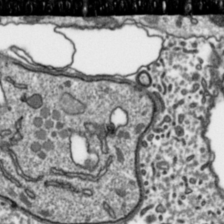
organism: Toxoplasma gondii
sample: Parasites in a vacuole inside a host cell